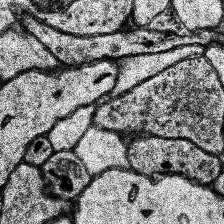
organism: Human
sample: Temporal Lobe